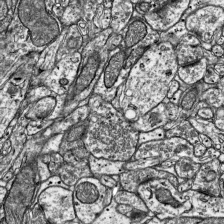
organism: Mouse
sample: Visual Cortex